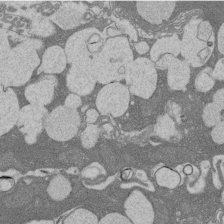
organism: Rat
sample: Salivary granule